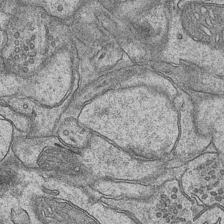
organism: Mouse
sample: CA1 Hippocampus